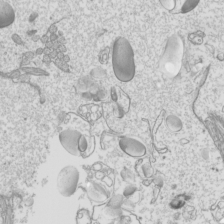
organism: Mouse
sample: Cilia; mouse epididymis